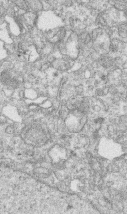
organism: Human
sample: HeLa cell HIV synapse